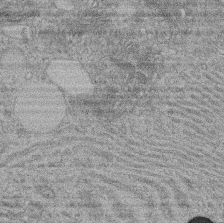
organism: Rat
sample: Salivary granule